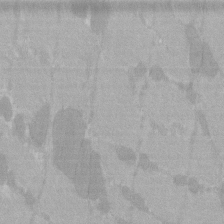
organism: C57BL Mouse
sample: Tibialis anterior muscle cell